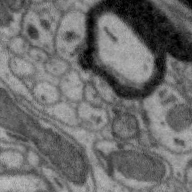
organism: Zebra finch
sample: Brain